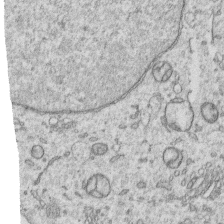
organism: Human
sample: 1205lu cells